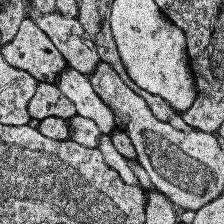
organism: Human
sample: Temporal Lobe